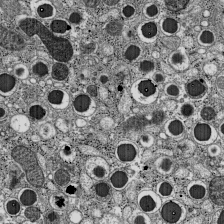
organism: C57BL Mouse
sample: Pancreatic islet